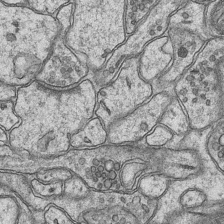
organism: Mouse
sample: CA1 Hippocampus